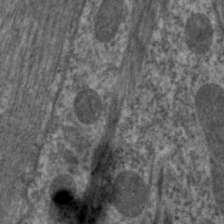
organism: C. elegans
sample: Pharynx